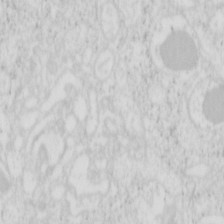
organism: Mouse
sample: Pancreas